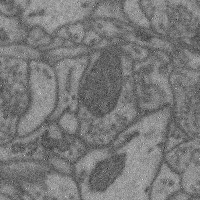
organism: Mouse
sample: Cerebral cortex